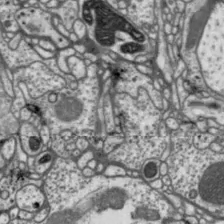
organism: Drosophila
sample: Protocerebral bridge